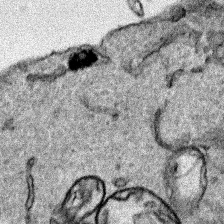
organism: Human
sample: Mitochondria in HCT116 cells